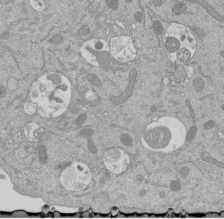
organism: Mouse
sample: ED-1 cell nuclei; centrioles